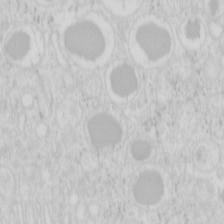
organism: Mouse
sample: Pancreas